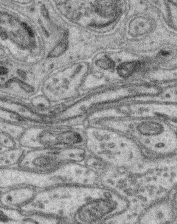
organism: Mouse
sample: Retina